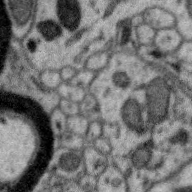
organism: Zebra finch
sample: Brain